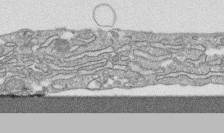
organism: Human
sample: CRL-1474